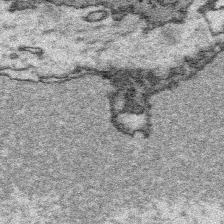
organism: Platynereis dumerilii